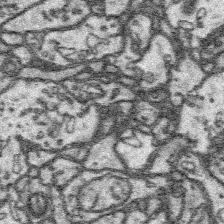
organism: Platynereis dumerilii